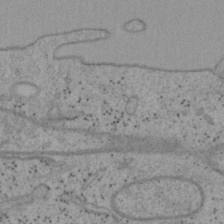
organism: Human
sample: HeLa cells